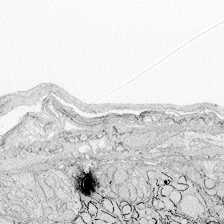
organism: Zebrafish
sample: Whole-Brain